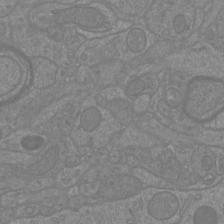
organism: Mouse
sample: Cortical neurons